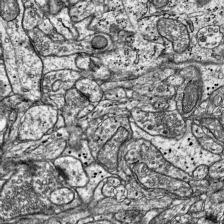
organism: Mouse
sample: Visual Cortex